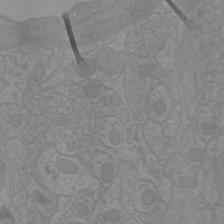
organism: Mouse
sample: Cortical neurons